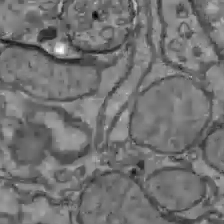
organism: C57BL Mouse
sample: Liver